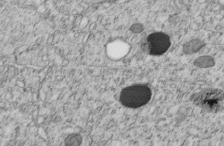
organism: C. elegans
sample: C. elegans embryo early stage